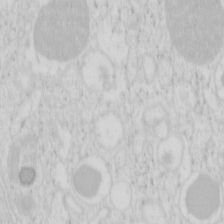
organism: Mouse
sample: Pancreas